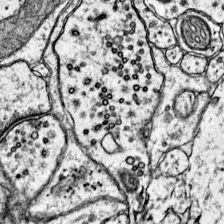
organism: Mouse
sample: Primary visual cortex